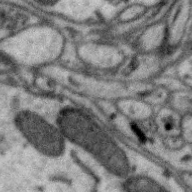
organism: Zebra finch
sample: Brain